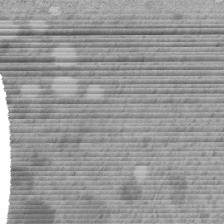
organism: C. elegans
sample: C. elegans embryo early stage